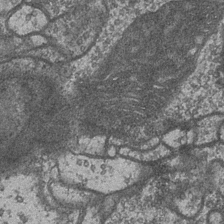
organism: Drosophila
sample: Optic medulla